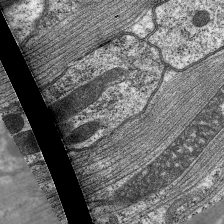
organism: C. elegans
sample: Pharynx